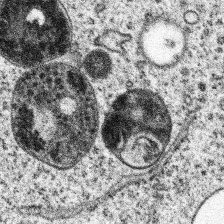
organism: Human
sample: HeLa cells